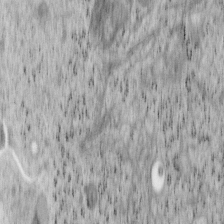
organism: Human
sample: HeLa cells